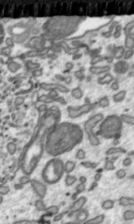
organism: Toxoplasma gondii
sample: Parasites in a vacuole inside a host cell